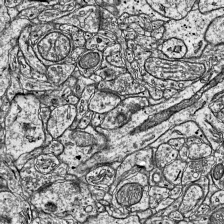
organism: Mouse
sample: Visual Cortex